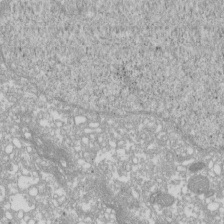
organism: Xenopus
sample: Cilia; centrioles in frog embryo cells